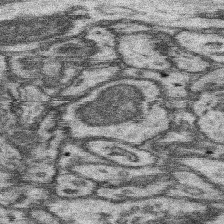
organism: Mouse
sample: Somatosensory cortex neuropil